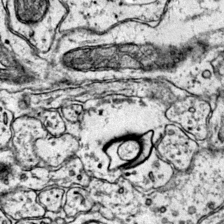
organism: Mouse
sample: Primary visual cortex